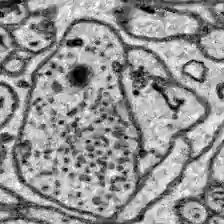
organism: Zebrafish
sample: Brain